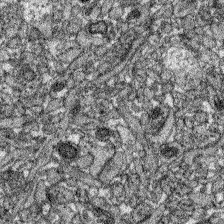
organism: Zebrafish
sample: Larval olfactory bulb